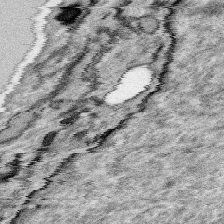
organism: Human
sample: HeLa cells